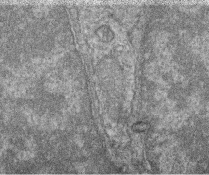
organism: Zebrafish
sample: Cilia; retinal pigment epithelium